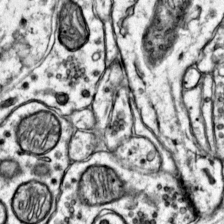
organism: Mouse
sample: Primary visual cortex